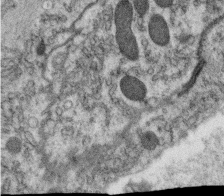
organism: C. elegans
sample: C. elegans oocyte; sperm cells